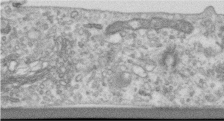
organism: Human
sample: Centriole in RPE cells